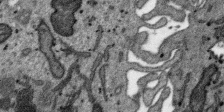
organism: Human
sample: Lung epithelial cells, uninfected (mock) control